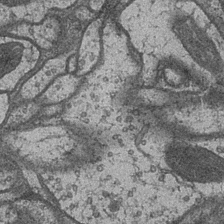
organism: Drosophila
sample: Optic medulla